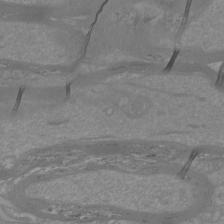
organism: Mouse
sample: Cortical neurons